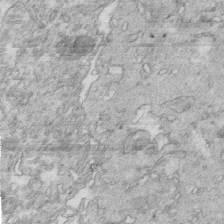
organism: Mouse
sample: Multiciliated cells